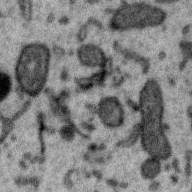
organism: Zebra finch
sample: Brain